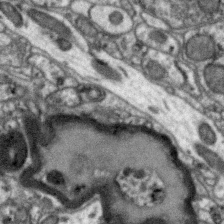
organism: Zebra finch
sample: Brain